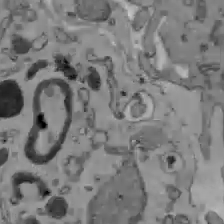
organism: C57BL Mouse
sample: Liver